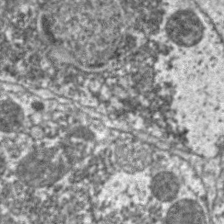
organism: C. elegans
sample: Pharynx